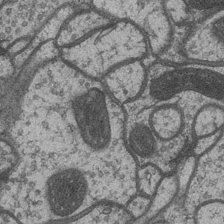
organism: Drosophila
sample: Optic medulla